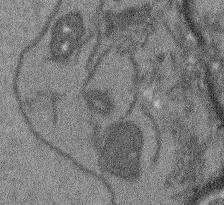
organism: Arabidopsis thaliana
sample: Root tip